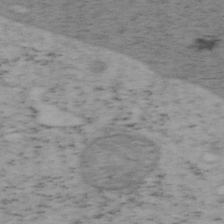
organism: Mouse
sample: OT-I killer T cells with ID8 ovarian cancer cells